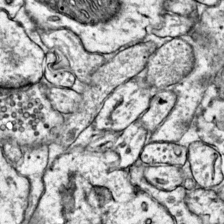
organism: Mouse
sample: Primary visual cortex